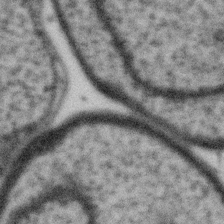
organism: Gemmata obscuriglobus